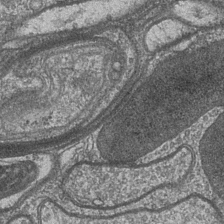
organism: Drosophila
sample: Optic medulla